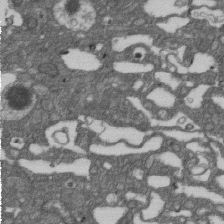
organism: Drosophila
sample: Nephrocyte